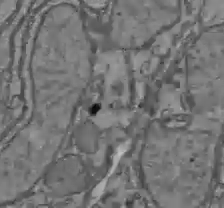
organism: C57BL Mouse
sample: Liver